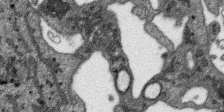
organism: Human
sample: Lung epithelial cells infected with SARS-CoV-2